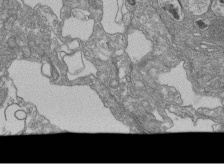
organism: Human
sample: Retinal organoid Rod and Cone cells